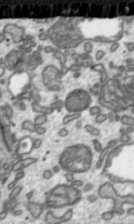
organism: Toxoplasma gondii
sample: Parasites in a vacuole inside a host cell